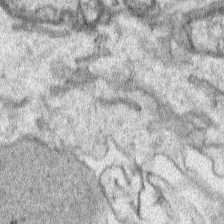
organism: Human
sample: Mitochondria in HCT116 cells